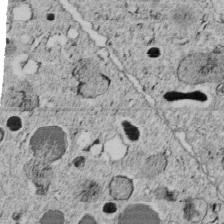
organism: C. elegans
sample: C. elegans embryo early stage